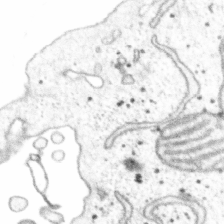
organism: Human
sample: HeLa cells